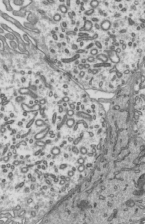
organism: Mouse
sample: Mouse epididymis efferent ductule cilia